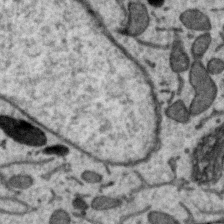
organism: Zebra finch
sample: Brain